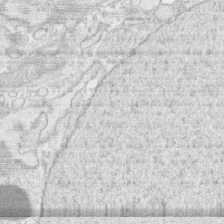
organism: Human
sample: CRL-1474